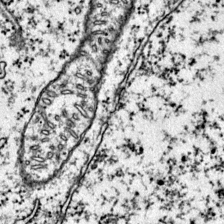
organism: Mouse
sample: Primary visual cortex